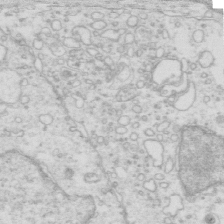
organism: Mouse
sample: Multiciliated cells